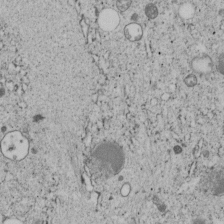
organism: C. elegans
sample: C. elegans embryo early stage